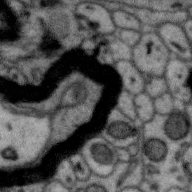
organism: Zebra finch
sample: Brain